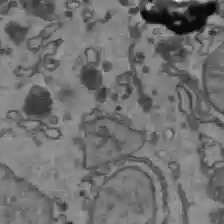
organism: C57BL Mouse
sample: Liver